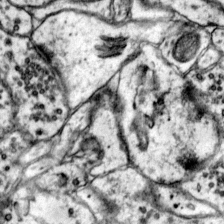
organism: Mouse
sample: Primary visual cortex